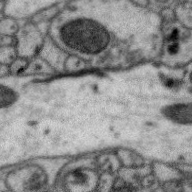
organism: Zebra finch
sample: Brain